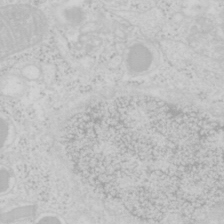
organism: Mouse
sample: Pancreas